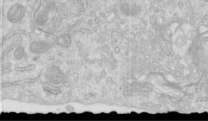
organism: Human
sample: Centriole in RPE cells